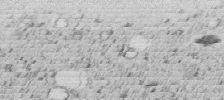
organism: C. elegans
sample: C. elegans embryo early stage